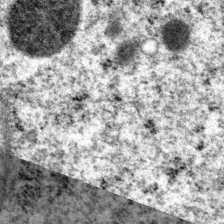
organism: P. pacificus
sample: Pharynx